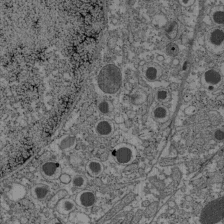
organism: C57BL Mouse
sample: Pancreatic islet